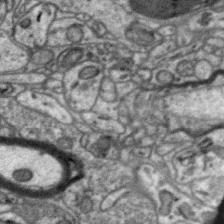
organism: Zebra finch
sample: Brain